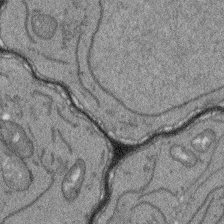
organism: Arabidopsis thaliana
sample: Root tip